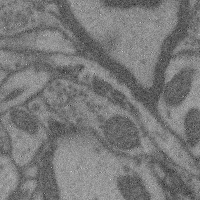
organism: Mouse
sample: Cerebral cortex